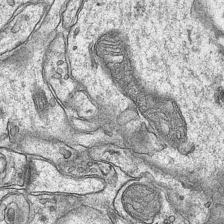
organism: Mouse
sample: CA1 Hippocampus